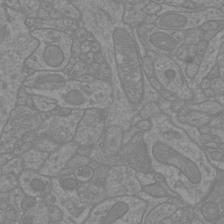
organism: Mouse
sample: Cortical neurons